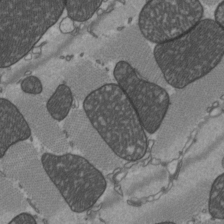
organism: C57BL Mouse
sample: Heart